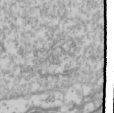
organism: Drosophila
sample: Cell division; meiosis; drosophila spermatocytes